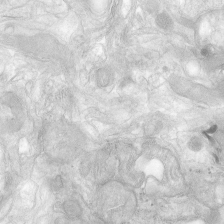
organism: Human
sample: Neocortex